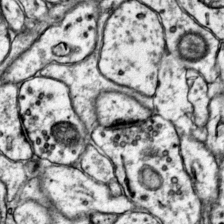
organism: Mouse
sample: Primary visual cortex